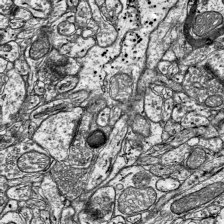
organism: Mouse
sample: Visual Cortex